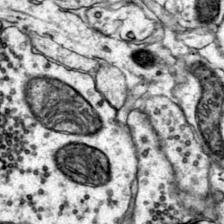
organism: Mouse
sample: Primary visual cortex